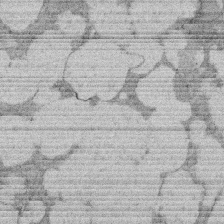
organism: Rat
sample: Salivary granule